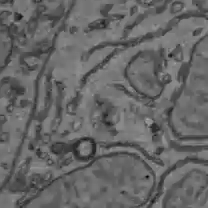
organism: C57BL Mouse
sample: Liver